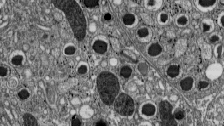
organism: C57BL Mouse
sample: Pancreatic islet